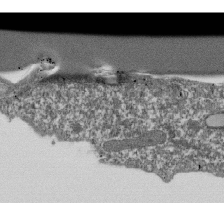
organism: Dictyostelium discoideum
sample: Dictyostelium multivesicular bodies